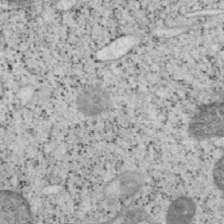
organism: Mouse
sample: OT-I killer T cells with ID8 ovarian cancer cells